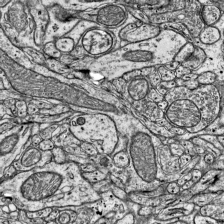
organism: Mouse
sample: Visual Cortex